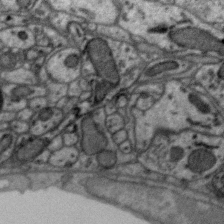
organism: Zebra finch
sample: Brain